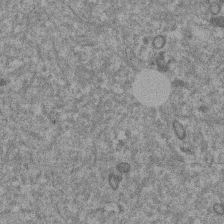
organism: Mouse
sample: Dividing mouse embryo 1 cell stage